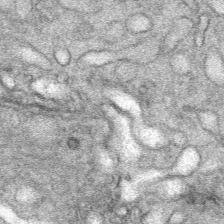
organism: Mouse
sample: Mouse Salivary gland